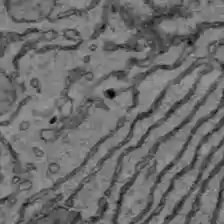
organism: C57BL Mouse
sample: Liver